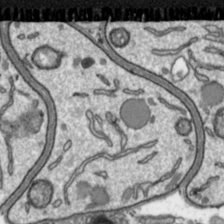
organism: Toxoplasma gondii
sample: Parasites in a vacuole inside a host cell